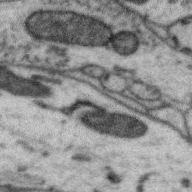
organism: Zebra finch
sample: Brain